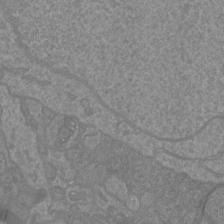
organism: Mouse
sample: Cortical neurons